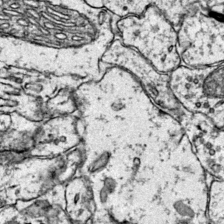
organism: Mouse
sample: Primary visual cortex